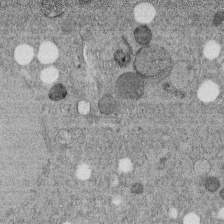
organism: C. elegans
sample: C. elegans embryo early stage